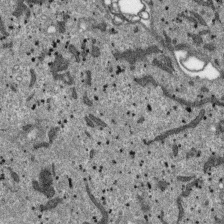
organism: Human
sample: Lung epithelial cells, uninfected (mock) control